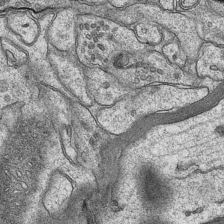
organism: Mouse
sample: CA1 Hippocampus